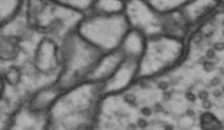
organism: Drosophila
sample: Brain